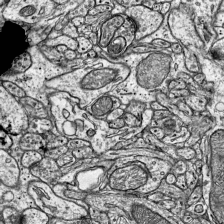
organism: Mouse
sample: Visual Cortex